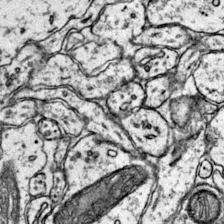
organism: Mouse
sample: Primary visual cortex